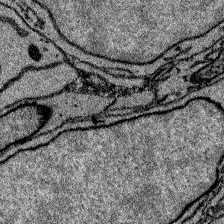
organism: Zebrafish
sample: Larval olfactory bulb